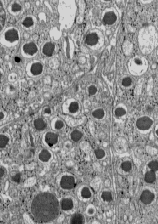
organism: C57BL Mouse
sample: Pancreatic islet